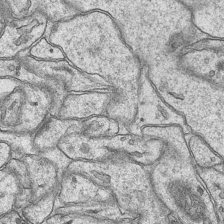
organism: Mouse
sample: CA1 Hippocampus